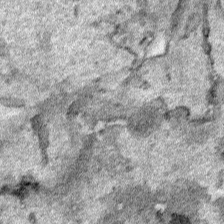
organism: Human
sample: Mitochondria in HCT116 cells